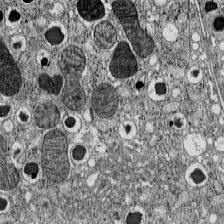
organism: C57BL Mouse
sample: Pancreatic islet